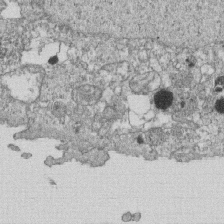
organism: Human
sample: HeLa cell HIV synapse